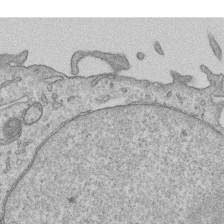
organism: Human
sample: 1205lu cells